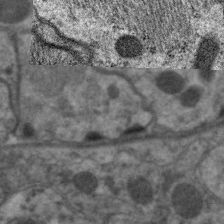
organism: C. elegans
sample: Pharynx